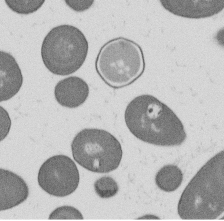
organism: B. subtilis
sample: Bacterial spore